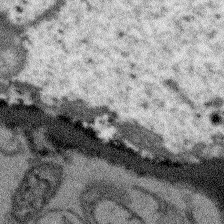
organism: Arabidopsis thaliana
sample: Root tip